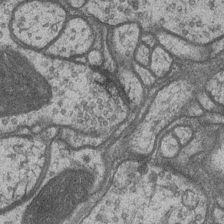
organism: Drosophila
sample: Optic medulla